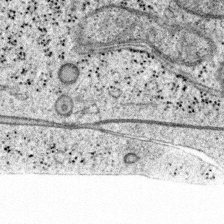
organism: Human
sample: HeLa cells